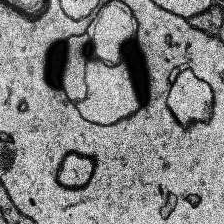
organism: Human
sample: Temporal Lobe